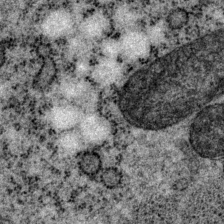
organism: P. pacificus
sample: Pharynx